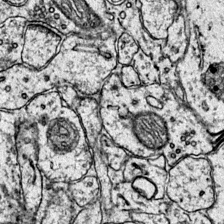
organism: Mouse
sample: Primary visual cortex